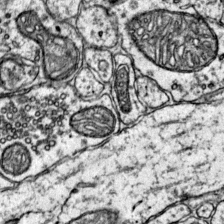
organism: Mouse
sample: Primary visual cortex